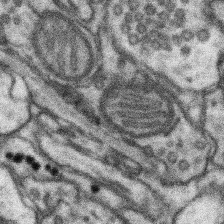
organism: Mouse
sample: Somatosensory cortex neuropil